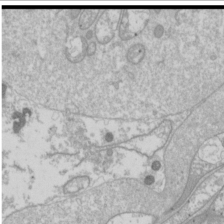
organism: Drosophila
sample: Cell division; meiosis; drosophila spermatocytes